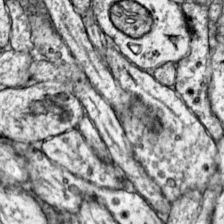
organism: Mouse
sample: Primary visual cortex